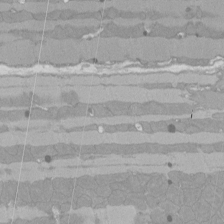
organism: Rat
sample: Left ventricle